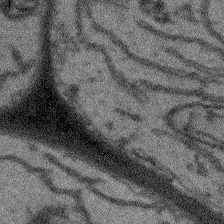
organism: Arabidopsis thaliana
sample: Root tip